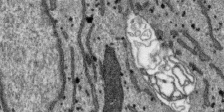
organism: Human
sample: Lung epithelial cells, uninfected (mock) control